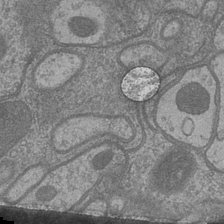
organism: Drosophila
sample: Optic medulla